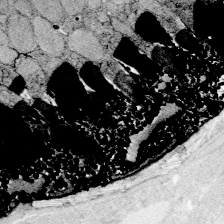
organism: Zebrafish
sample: Whole-Brain